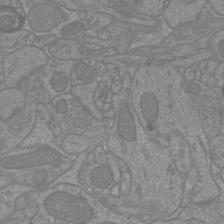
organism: Mouse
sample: Cortical neurons